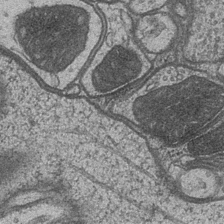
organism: Drosophila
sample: Optic medulla